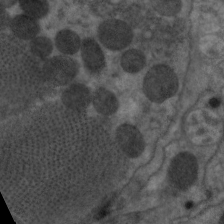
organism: C. elegans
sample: Pharynx